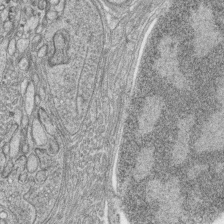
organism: Zebrafish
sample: synaptic ribbons in rod cells and cone cells